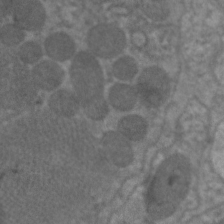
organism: C. elegans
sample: Pharynx